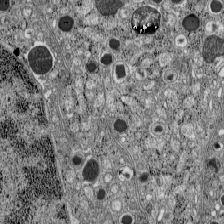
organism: C57BL Mouse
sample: Pancreatic islet